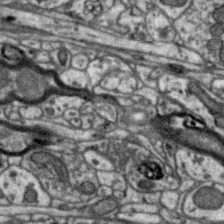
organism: Zebra finch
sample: Brain